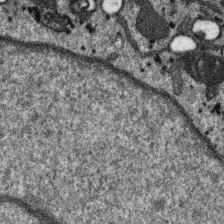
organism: Human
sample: Lung epithelial cells infected with SARS-CoV-2